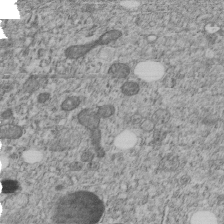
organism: C. elegans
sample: C. elegans embryo early stage